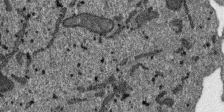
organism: Human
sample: Lung epithelial cells infected with SARS-CoV-2